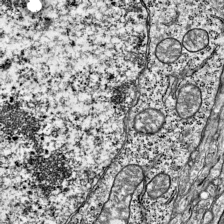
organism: Mouse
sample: Visual Cortex